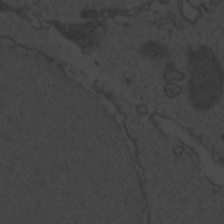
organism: Zebrafish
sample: Macrophage infected with Toxoplasma gondii